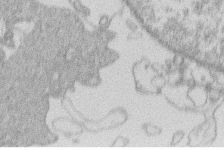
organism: Human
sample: Macrophage cells